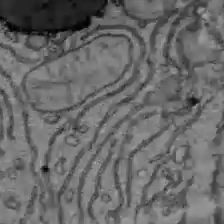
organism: C57BL Mouse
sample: Liver